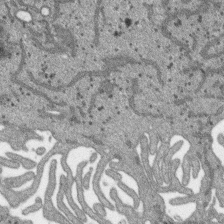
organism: Human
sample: Lung epithelial cells infected with SARS-CoV-2